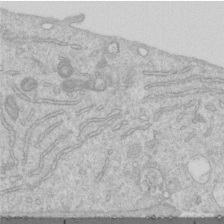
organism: Human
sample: Centriole in RPE cells